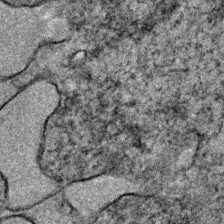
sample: Trachea